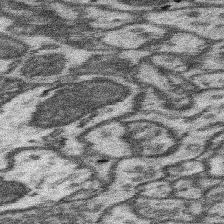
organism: Mouse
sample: Somatosensory cortex neuropil